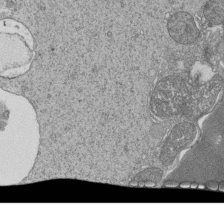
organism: Tetrahymena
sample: Cilia in tetrahymena